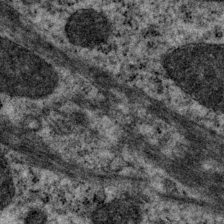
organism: P. pacificus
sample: Pharynx